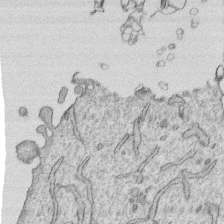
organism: Human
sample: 1205lu cells